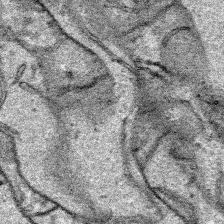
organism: Human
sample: Mitochondria in HCT116 cells